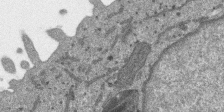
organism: Human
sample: Lung epithelial cells infected with SARS-CoV-2